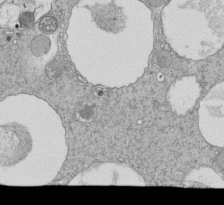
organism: Tetrahymena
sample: Cilia in tetrahymena